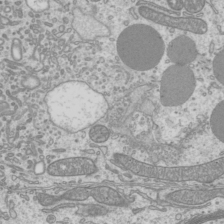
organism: Mouse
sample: Cilia; mouse epididymis